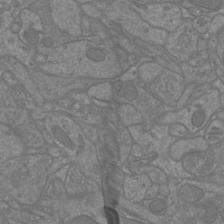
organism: Mouse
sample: Cortical neurons